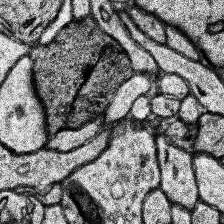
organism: Human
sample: Temporal Lobe